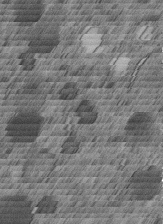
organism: C. elegans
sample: C. elegans embryo early stage